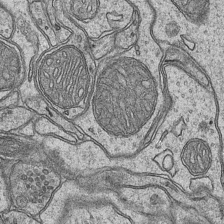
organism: Mouse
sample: CA1 Hippocampus